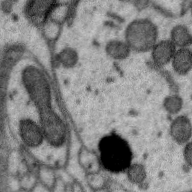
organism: Zebra finch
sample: Brain